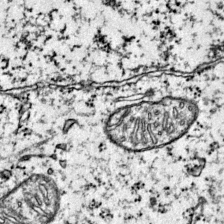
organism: Mouse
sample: Primary visual cortex